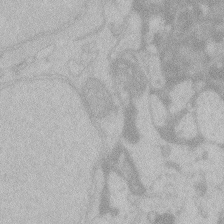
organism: Zebrafish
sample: Macrophage infected with Toxoplasma gondii